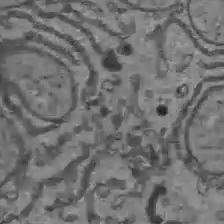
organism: C57BL Mouse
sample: Liver